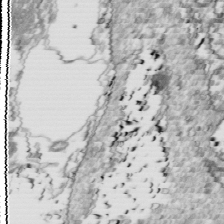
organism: Drosophila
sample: Cell division; meiosis; drosophila spermatocytes